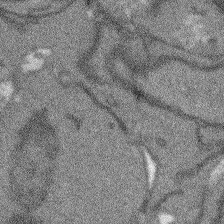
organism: Arabidopsis thaliana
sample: Root tip